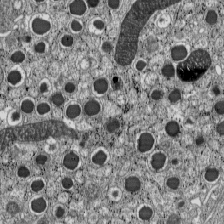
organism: C57BL Mouse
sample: Pancreatic islet